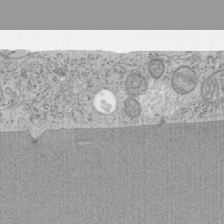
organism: Human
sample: HeLa cells